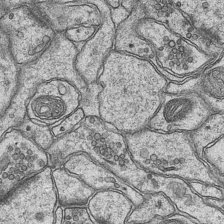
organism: Mouse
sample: CA1 Hippocampus